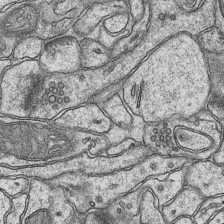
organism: Mouse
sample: CA1 Hippocampus